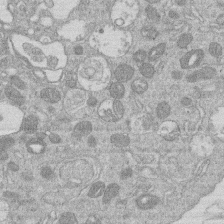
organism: Human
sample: Macrophage cells